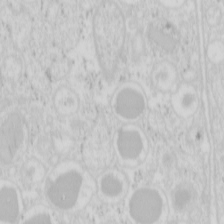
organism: Mouse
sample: Pancreas